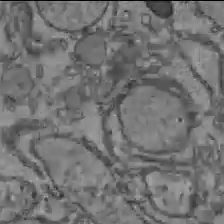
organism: C57BL Mouse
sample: Liver